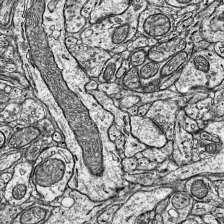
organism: Mouse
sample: Visual Cortex